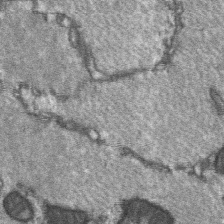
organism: C57BL Mouse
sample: Soleus